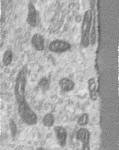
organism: Human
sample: Centriole in RPE cells